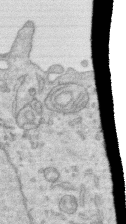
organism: Human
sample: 1205lu cells